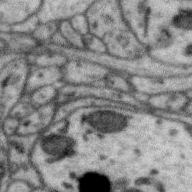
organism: Zebra finch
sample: Brain